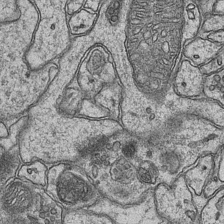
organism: Mouse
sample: CA1 Hippocampus